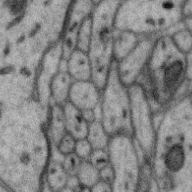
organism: Zebra finch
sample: Brain